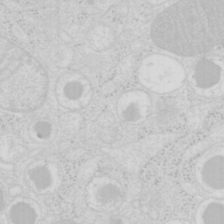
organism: Mouse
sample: Pancreas